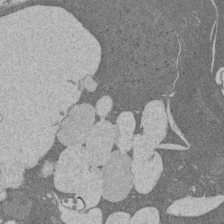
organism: Rat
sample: Salivary granule